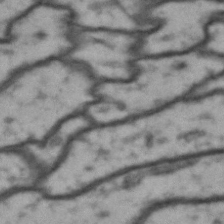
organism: Drosophila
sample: Brain